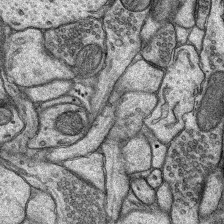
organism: Rat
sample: Hippocampus